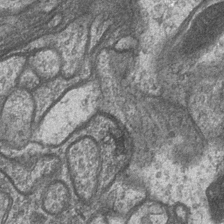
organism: Drosophila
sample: Optic medulla